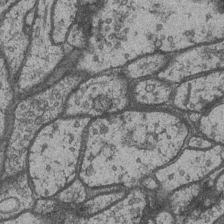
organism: Drosophila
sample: Optic medulla